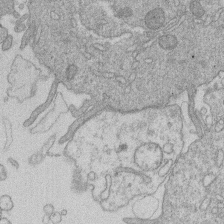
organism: Human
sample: Macrophage cells